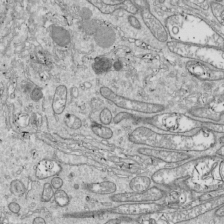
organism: Drosophila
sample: Cell division; meiosis; drosophila spermatocytes